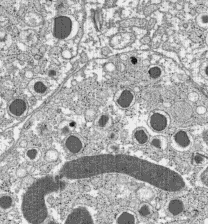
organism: C57BL Mouse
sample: Pancreatic islet